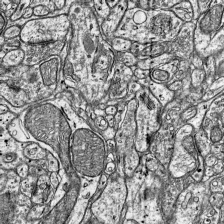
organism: Mouse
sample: Visual Cortex